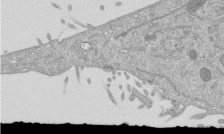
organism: Mouse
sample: ED-1 cell nuclei; centrioles